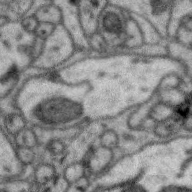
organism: Zebra finch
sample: Brain